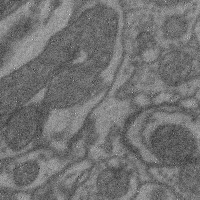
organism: Mouse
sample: Cerebral cortex